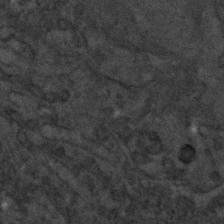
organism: C. elegans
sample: C. elegans embryo